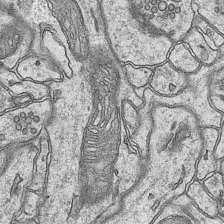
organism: Mouse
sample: CA1 Hippocampus